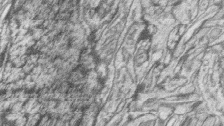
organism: Zebrafish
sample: synaptic ribbons in rod cells and cone cells